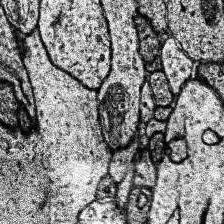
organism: Human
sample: Temporal Lobe